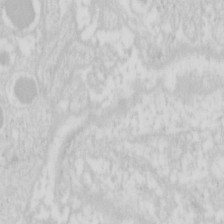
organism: Mouse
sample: Pancreas